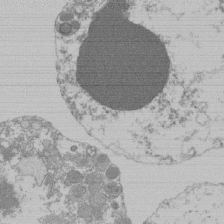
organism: Mouse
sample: Activated Pmel transgenic CD8+ T Cells